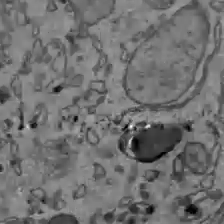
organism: C57BL Mouse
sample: Liver